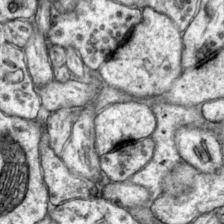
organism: Mouse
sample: Primary visual cortex